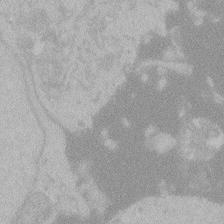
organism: Zebrafish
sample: Macrophage infected with Toxoplasma gondii